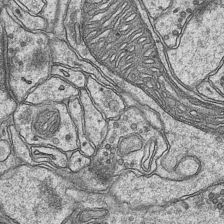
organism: Mouse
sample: CA1 Hippocampus